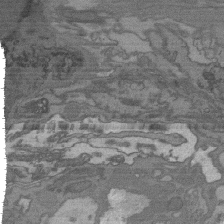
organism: C. elegans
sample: AFD neurons C. elegans